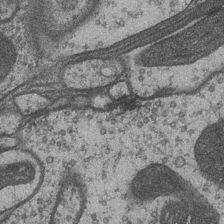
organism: Drosophila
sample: Optic medulla